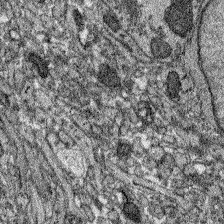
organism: Zebrafish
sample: Larval olfactory bulb